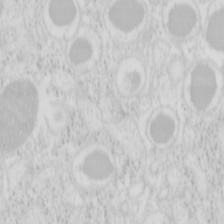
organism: Mouse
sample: Pancreas